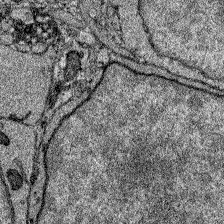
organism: Zebrafish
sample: Larval olfactory bulb